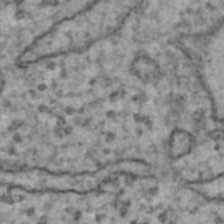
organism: Human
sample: Blood